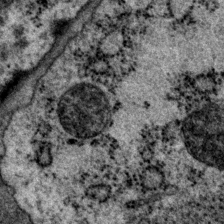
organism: P. pacificus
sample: Pharynx